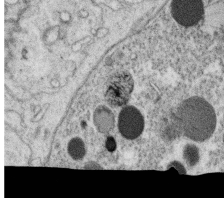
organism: C. elegans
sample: C. elegans oocyte; sperm cells